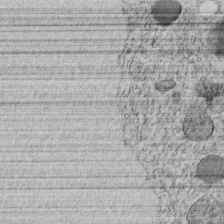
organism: C. elegans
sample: C. elegans embryo early stage